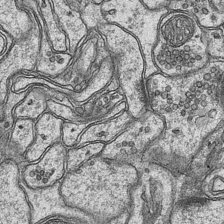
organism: Mouse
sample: CA1 Hippocampus